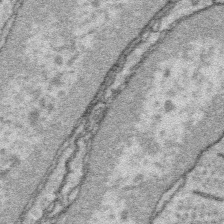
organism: Platynereis dumerilii